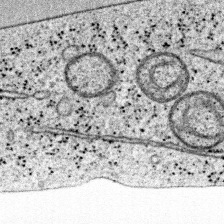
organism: Human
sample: HeLa cells